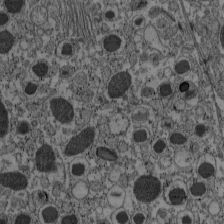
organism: C57BL Mouse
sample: Pancreatic islet